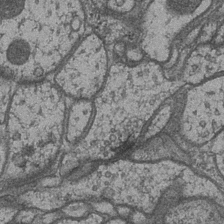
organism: Drosophila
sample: Optic medulla